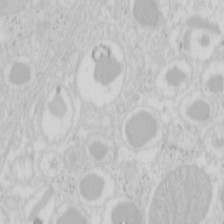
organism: Mouse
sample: Pancreas